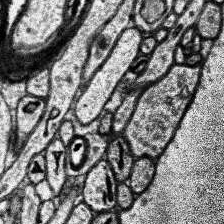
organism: Human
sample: Temporal Lobe